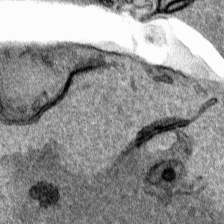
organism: Human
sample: Mitochondria in HCT116 cells